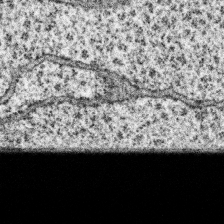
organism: Human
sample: HeLa cells